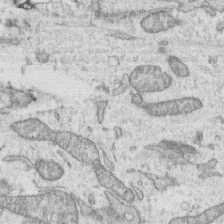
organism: Human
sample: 1205lu cells